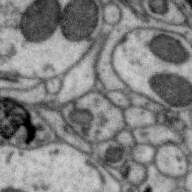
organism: Zebra finch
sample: Brain